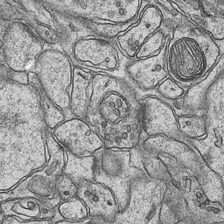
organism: Mouse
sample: CA1 Hippocampus